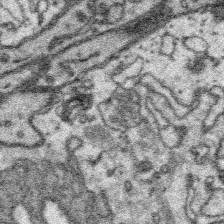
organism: Platynereis dumerilii